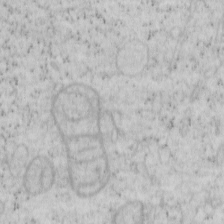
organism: Human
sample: HeLa cells